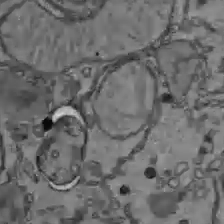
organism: C57BL Mouse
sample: Liver